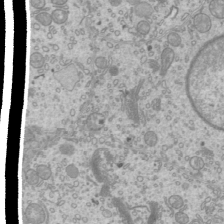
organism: Mouse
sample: Cilia; mouse epididymis